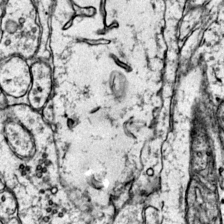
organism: Mouse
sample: Primary visual cortex